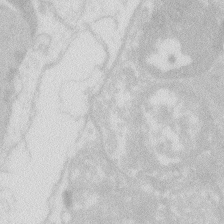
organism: Zebrafish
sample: Macrophage